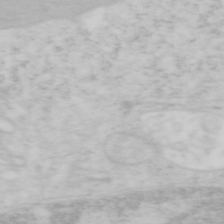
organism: Mouse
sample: OT-I killer T cells with ID8 ovarian cancer cells